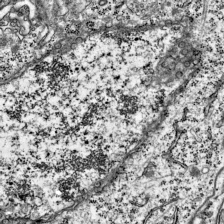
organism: Mouse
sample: Visual Cortex